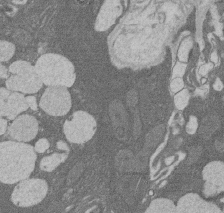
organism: Rat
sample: Salivary granule